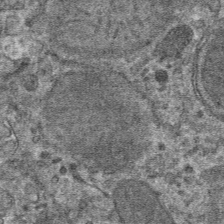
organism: Mouse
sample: Mouse hepatocytes